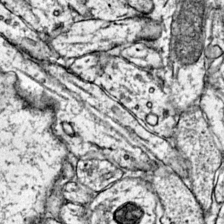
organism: Mouse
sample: Primary visual cortex